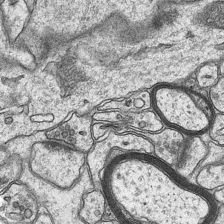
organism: Mouse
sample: CA1 Hippocampus